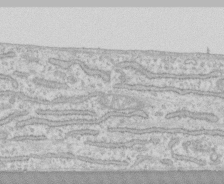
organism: Human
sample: CRL-1474